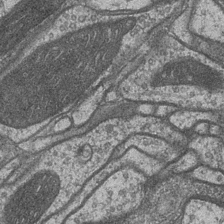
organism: Drosophila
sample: Optic medulla